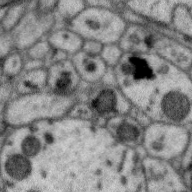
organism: Zebra finch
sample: Brain